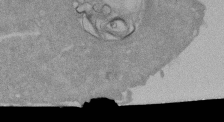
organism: Mouse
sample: ED-1 cell nuclei; centrioles